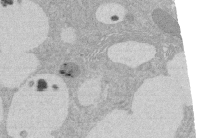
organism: Rat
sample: Salivary granule